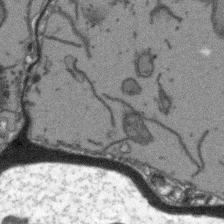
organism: Arabidopsis thaliana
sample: Root tip